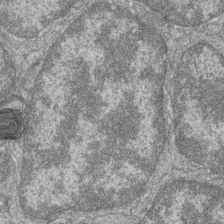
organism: Zebrafish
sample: Cilia; retinal pigment epithelium